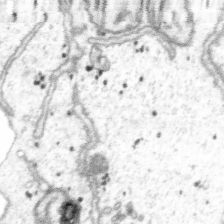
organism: Human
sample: HeLa cells